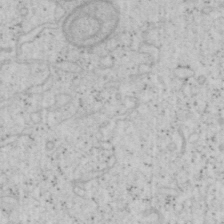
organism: Human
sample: HeLa cells